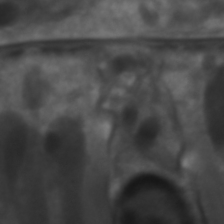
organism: C. elegans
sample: Pharynx